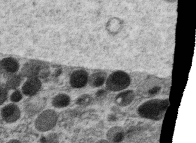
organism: C. elegans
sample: C. elegans oocyte; sperm cells